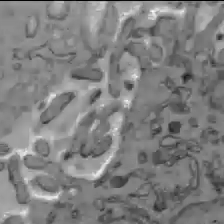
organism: C57BL Mouse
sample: Liver